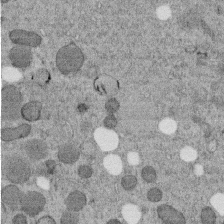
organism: C. elegans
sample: C. elegans embryo early stage